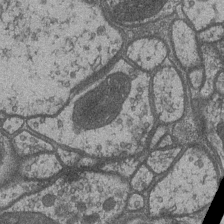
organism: Drosophila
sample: Optic medulla